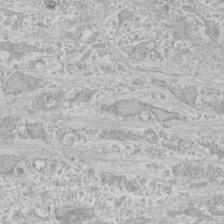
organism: Human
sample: CRL-1474